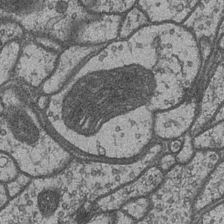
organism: Drosophila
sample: Optic medulla